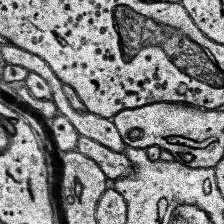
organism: Human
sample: Temporal Lobe